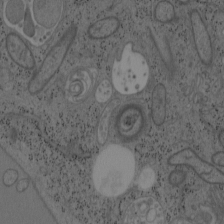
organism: Mouse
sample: OT-I killer T cells with ID8 ovarian cancer cells